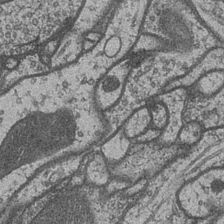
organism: Drosophila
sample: Optic medulla